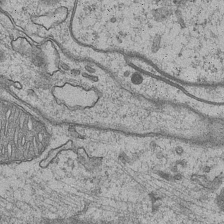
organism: Mouse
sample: CA1 Hippocampus